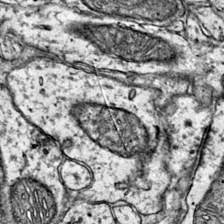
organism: Mouse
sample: Primary visual cortex